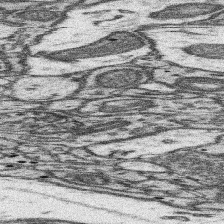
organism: Mouse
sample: Somatosensory cortex neuropil